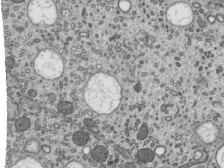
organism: Mouse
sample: Mouse epididymis efferent ductule cilia